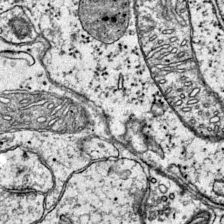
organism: Mouse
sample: Primary visual cortex